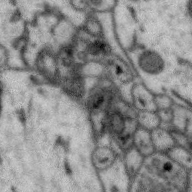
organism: Zebra finch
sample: Brain